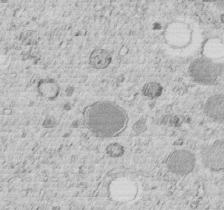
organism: C. elegans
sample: C. elegans embryo early stage